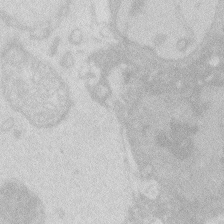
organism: Zebrafish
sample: Macrophage